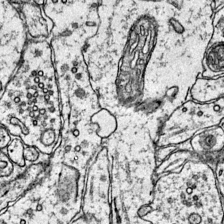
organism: Mouse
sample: Primary visual cortex